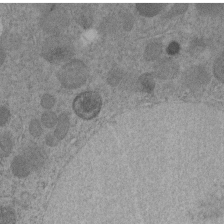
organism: C. elegans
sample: C. elegans embryo early stage